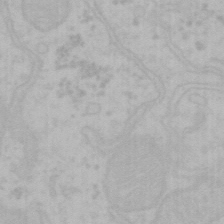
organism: Mouse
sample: Choroid plexus